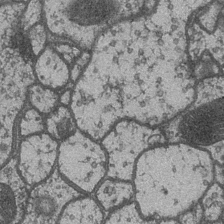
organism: Drosophila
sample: Optic medulla